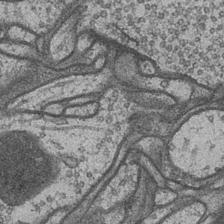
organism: Drosophila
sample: Optic medulla